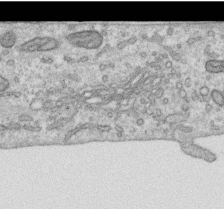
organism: Human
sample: Centriole in RPE cells